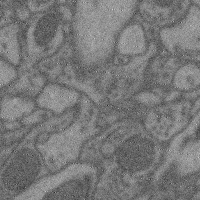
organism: Mouse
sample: Cerebral cortex